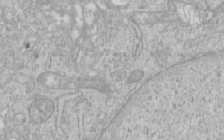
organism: Human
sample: Centriole in RPE cells